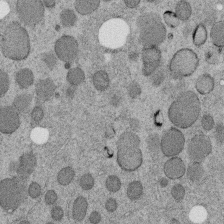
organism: C. elegans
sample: C. elegans embryo early stage